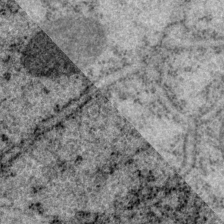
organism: P. pacificus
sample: Pharynx